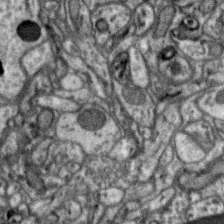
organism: Zebra finch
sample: Brain